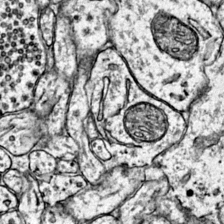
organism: Mouse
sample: Primary visual cortex